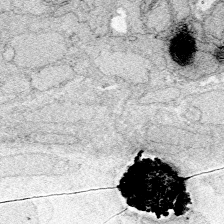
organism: Zebrafish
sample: Whole-Brain